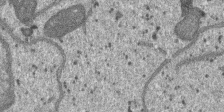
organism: Human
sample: Lung epithelial cells infected with SARS-CoV-2